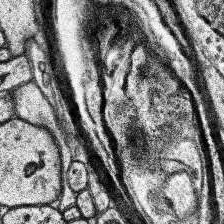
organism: Human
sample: Temporal Lobe